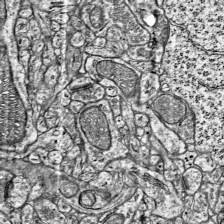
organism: Mouse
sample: Visual Cortex